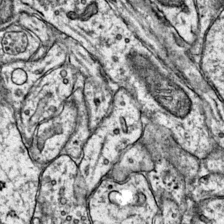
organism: Mouse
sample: Primary visual cortex